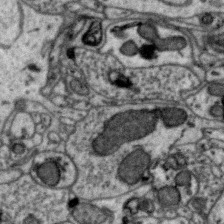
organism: Zebra finch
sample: Brain